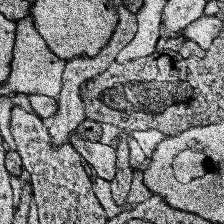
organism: Human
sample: Temporal Lobe